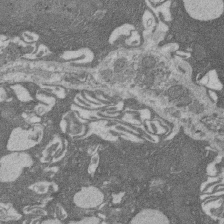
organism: Rat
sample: Salivary granule